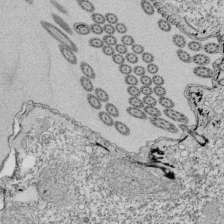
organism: Tetrahymena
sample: Cilia in tetrahymena